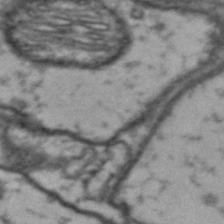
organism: Drosophila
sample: Brain